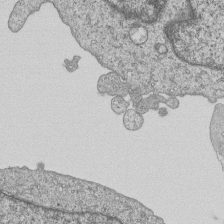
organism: Human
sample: MDA-MB-231 cells